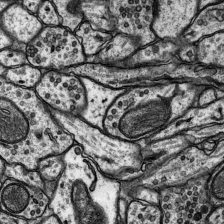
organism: Rat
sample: Hippocampus